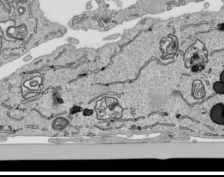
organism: Human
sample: Mitochondria in HCT116 cells